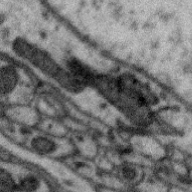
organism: Zebra finch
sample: Brain